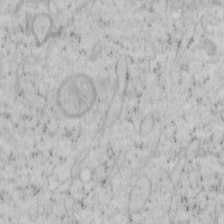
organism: Human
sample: HeLa cells